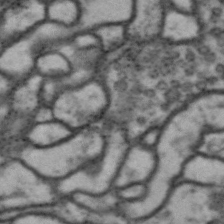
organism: Drosophila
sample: Brain